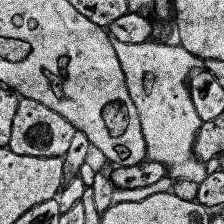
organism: Human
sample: Temporal Lobe